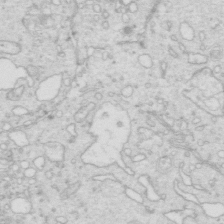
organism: Mouse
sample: Multiciliated cells